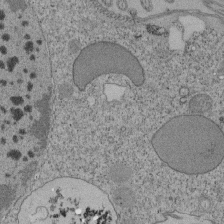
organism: Tetrahymena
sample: Cilia in tetrahymena